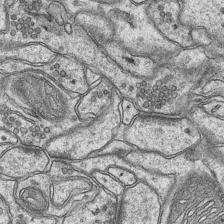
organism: Mouse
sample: CA1 Hippocampus